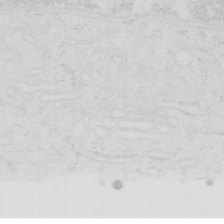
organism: Human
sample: SUM-159 cell